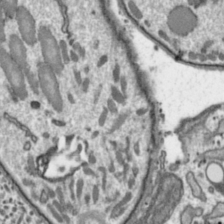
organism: Toxoplasma gondii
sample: Parasites in a vacuole inside a host cell